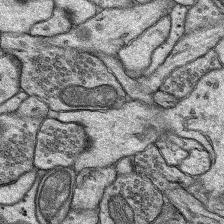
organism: Rat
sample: Hippocampus